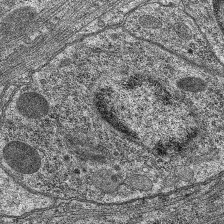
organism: C. elegans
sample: Pharynx